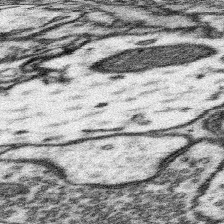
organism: Mouse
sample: Somatosensory cortex neuropil